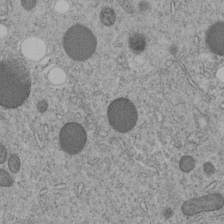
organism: C. elegans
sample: C. elegans embryo early stage